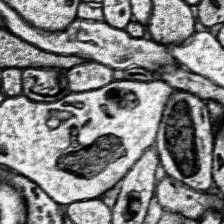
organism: Human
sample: Temporal Lobe